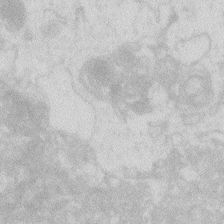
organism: Zebrafish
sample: Macrophage